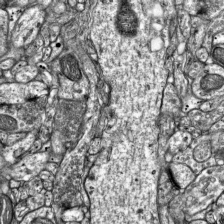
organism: Mouse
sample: Visual Cortex